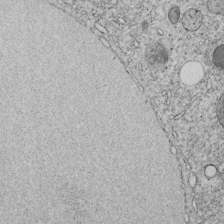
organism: C. elegans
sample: C. elegans embryo early stage